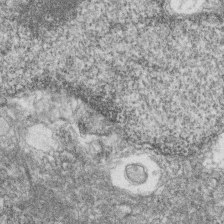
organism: Zebrafish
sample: Cilia; retinal pigment epithelium